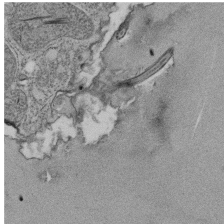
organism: Tetrahymena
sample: Cilia in tetrahymena